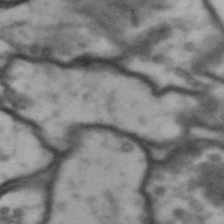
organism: Drosophila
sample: Brain